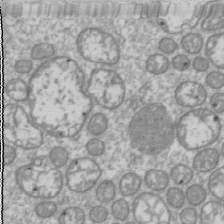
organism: Drosophila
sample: Cell division; meiosis; drosophila spermatocytes